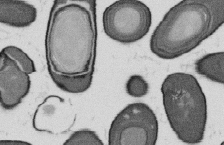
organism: B. subtilis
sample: Bacterial spore